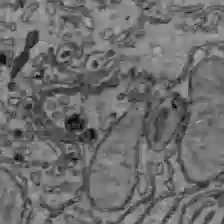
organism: C57BL Mouse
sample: Liver